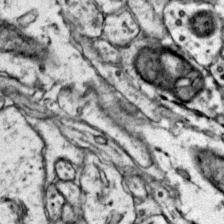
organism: Mouse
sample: Primary visual cortex